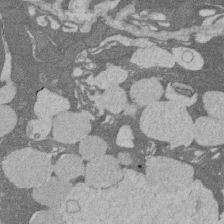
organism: Rat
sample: Salivary granule